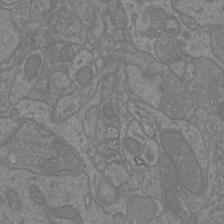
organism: Mouse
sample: Cortical neurons